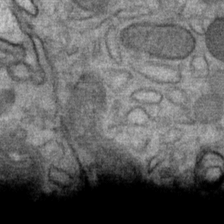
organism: Mouse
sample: Mouse Salivary gland